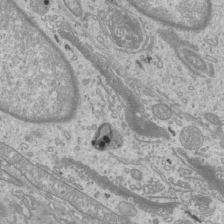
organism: Mouse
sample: Cilia; mouse epididymis